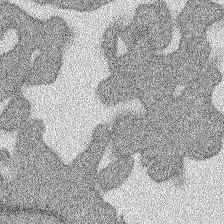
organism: Human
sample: HeLa cells